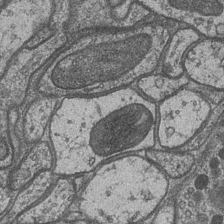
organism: Drosophila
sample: Optic medulla